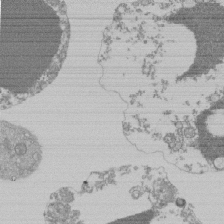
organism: Mouse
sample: Activated Pmel transgenic CD8+ T Cells